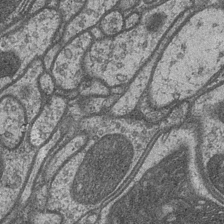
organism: Drosophila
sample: Optic medulla